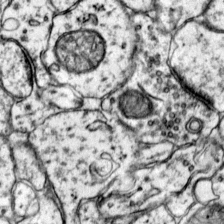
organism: Mouse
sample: Primary visual cortex